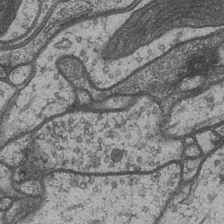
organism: Drosophila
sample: Optic medulla